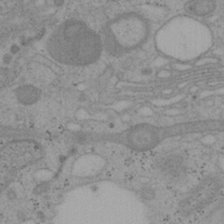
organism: Mouse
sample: OT-I killer T cells with ID8 ovarian cancer cells